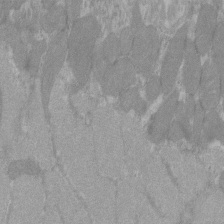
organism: C57BL Mouse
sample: Tibialis anterior muscle cell